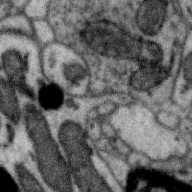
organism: Zebra finch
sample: Brain